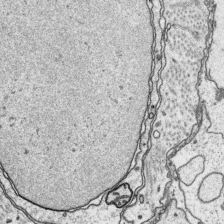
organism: Platynereis dumerilii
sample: Parapodia